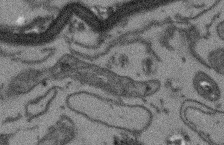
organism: Arabidopsis thaliana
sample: Root tip